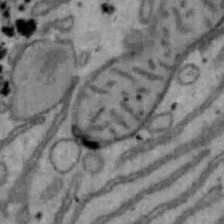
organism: Mouse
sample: Liver